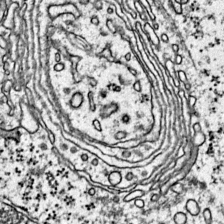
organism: Mouse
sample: Primary visual cortex